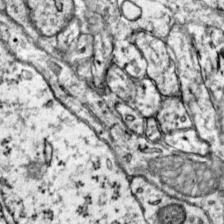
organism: Mouse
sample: Primary visual cortex